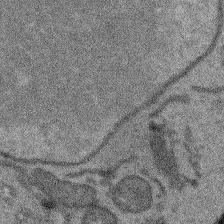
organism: Arabidopsis thaliana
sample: Root tip